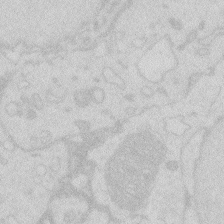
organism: Zebrafish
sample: Macrophage